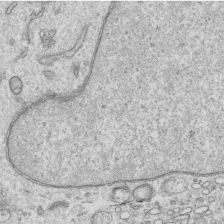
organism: Human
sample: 1205lu cells